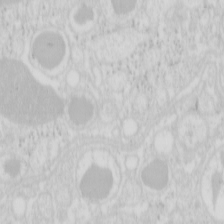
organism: Mouse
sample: Pancreas